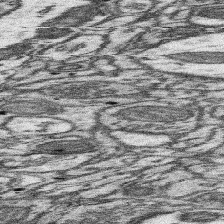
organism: Mouse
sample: Somatosensory cortex neuropil